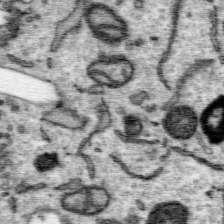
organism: Human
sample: HeLa cells